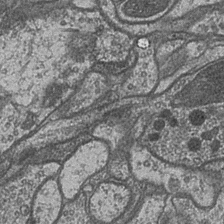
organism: Drosophila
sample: Optic medulla